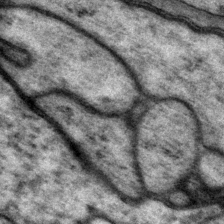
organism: P. pacificus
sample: Pharynx